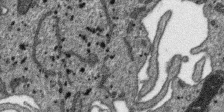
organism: Human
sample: Lung epithelial cells infected with SARS-CoV-2